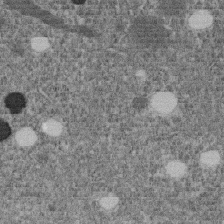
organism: C. elegans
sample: C. elegans embryo early stage